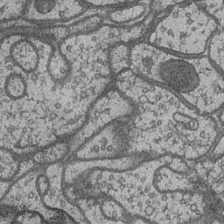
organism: Drosophila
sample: Optic medulla